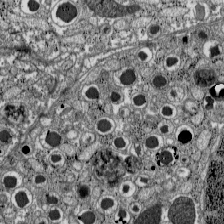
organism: C57BL Mouse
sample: Pancreatic islet